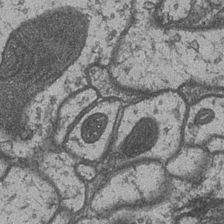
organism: Drosophila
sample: Optic medulla